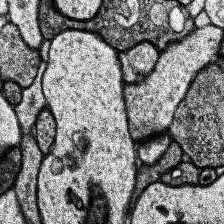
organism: Human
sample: Temporal Lobe